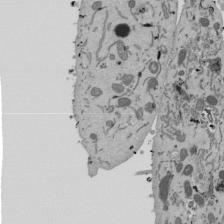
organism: Mouse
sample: ED-1 cell nuclei; centrioles